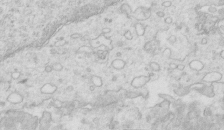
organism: Mouse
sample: Multiciliated cells